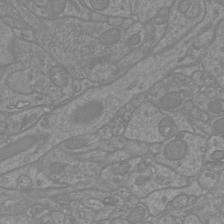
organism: Mouse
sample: Cortical neurons